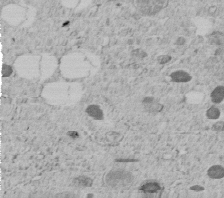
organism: C. elegans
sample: C. elegans embryo early stage